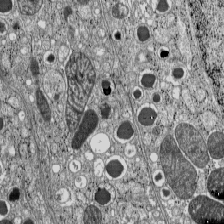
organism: C57BL Mouse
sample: Pancreatic islet